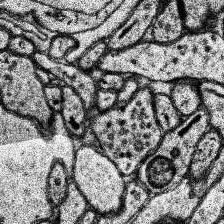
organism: Human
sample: Temporal Lobe